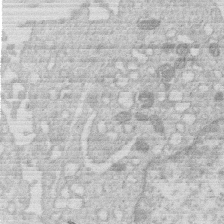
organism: Human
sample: Macrophage cells